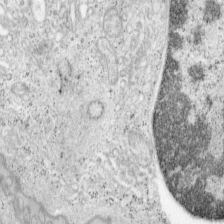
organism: Mouse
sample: OT-I killer T cells with ID8 ovarian cancer cells